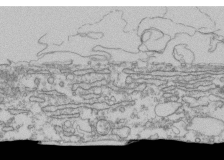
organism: Human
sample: Fibroblast cells